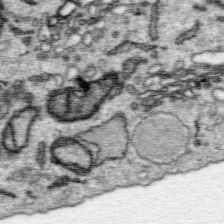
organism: Human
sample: HeLa cells